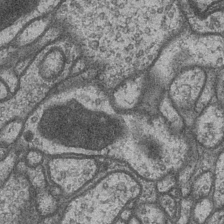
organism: Drosophila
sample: Optic medulla